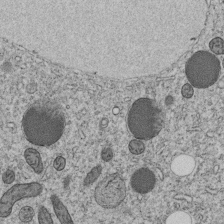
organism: C. elegans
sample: C. elegans embryo early stage